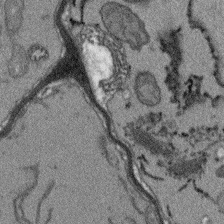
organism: Arabidopsis thaliana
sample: Root tip